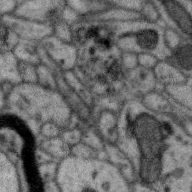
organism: Zebra finch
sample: Brain